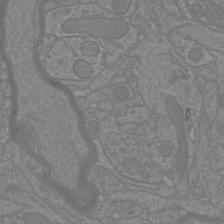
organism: Mouse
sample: Cortical neurons